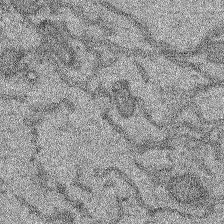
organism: Human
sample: HeLa cells